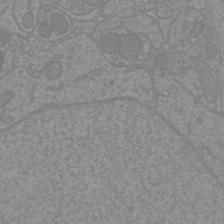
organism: Mouse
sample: Cortical neurons